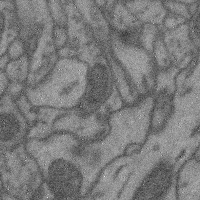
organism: Mouse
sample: Cerebral cortex